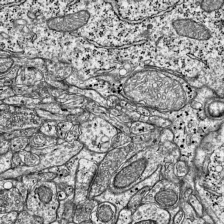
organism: Mouse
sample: Visual Cortex